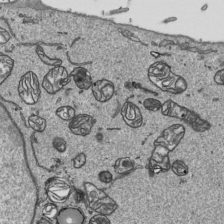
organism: Human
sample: Mitochondria in HCT116 cells